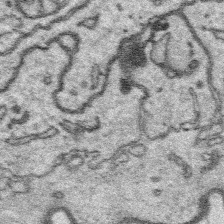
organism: Platynereis dumerilii